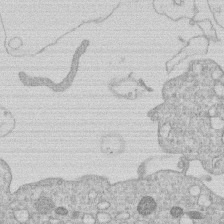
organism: Human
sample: Macrophage cells